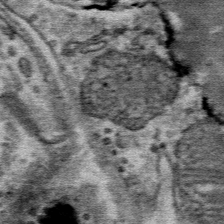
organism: Mouse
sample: Mouse Salivary gland